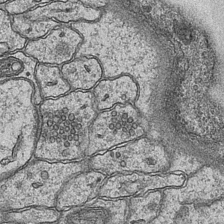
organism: Mouse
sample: CA1 Hippocampus